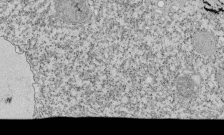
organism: Tetrahymena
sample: Cilia in tetrahymena